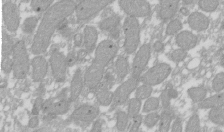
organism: Xenopus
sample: Cilia; centrioles in frog embryo cells